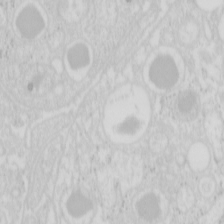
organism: Mouse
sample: Pancreas